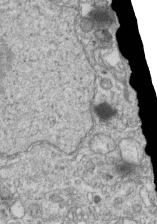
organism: Human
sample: HeLa cell HIV synapse